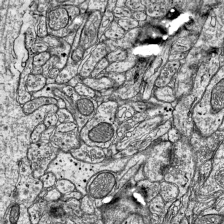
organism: Mouse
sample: Visual Cortex